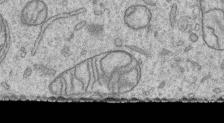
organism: Human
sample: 1205lu cells